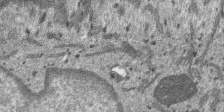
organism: Human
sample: Lung epithelial cells infected with SARS-CoV-2